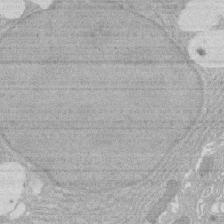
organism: Rat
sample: Salivary granule